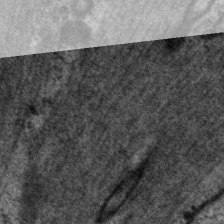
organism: P. pacificus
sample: Pharynx